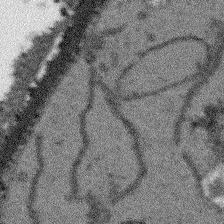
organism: Arabidopsis thaliana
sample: Root tip